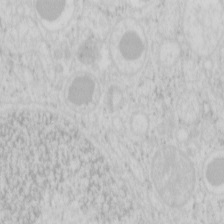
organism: Mouse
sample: Pancreas